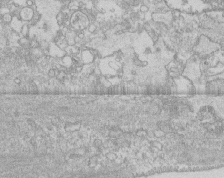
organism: Human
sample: CRL-1474